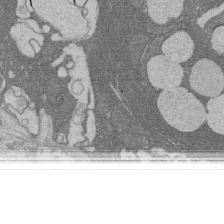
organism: Rat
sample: Salivary granule